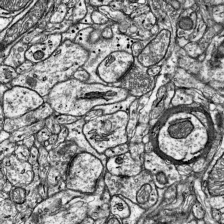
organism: Mouse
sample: Visual Cortex